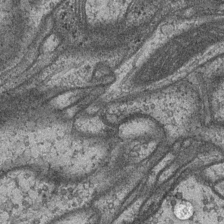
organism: Drosophila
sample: Optic medulla